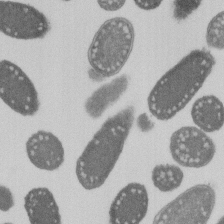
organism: E. coli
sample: Bacterial nucleoid